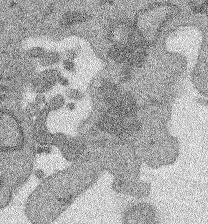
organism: Human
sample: HeLa cells